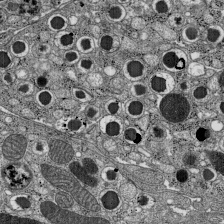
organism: C57BL Mouse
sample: Pancreatic islet